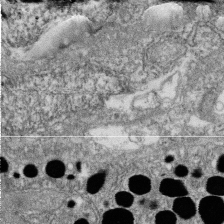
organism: Zebrafish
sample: Cilia; retinal pigment epithelium